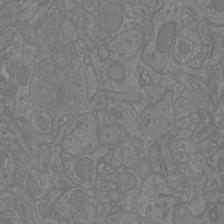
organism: Mouse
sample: Cortical neurons